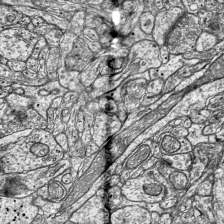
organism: Mouse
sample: Visual Cortex